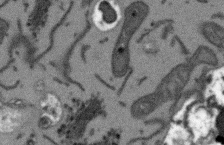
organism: Arabidopsis thaliana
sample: Root tip